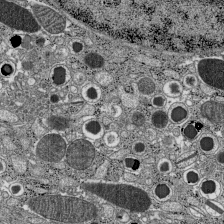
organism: C57BL Mouse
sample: Pancreatic islet